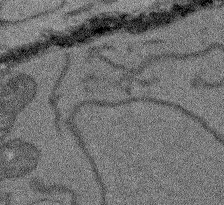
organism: Arabidopsis thaliana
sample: Root tip